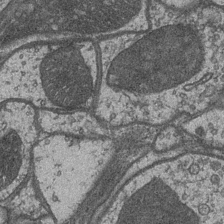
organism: Drosophila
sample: Optic medulla